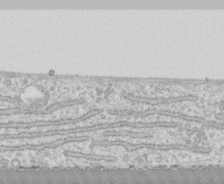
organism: Human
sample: CRL-1474